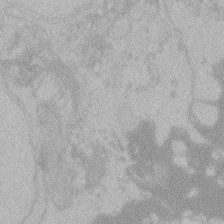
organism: Zebrafish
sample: Macrophage infected with Toxoplasma gondii